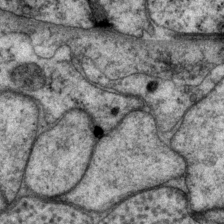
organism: P. pacificus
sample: Pharynx